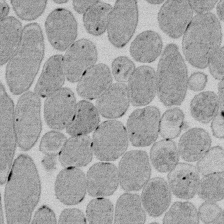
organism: E. coli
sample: Bacterial nucleoid